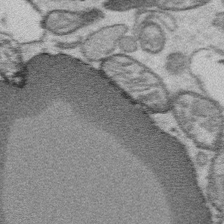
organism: Platynereis dumerilii